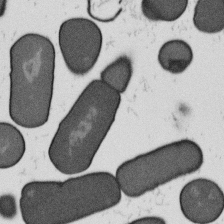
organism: B. subtilis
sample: Bacterial spore